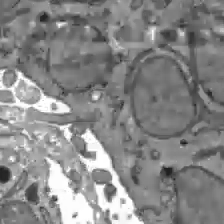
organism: C57BL Mouse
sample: Liver